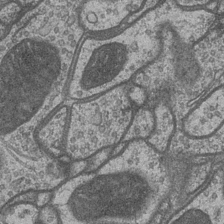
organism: Drosophila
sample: Optic medulla